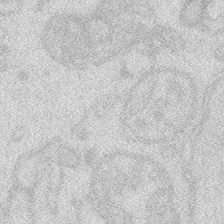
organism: Zebrafish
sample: Macrophage